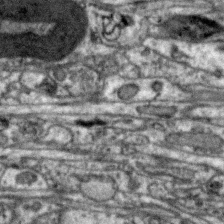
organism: Zebra finch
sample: Brain